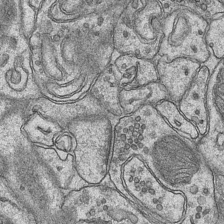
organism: Mouse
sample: CA1 Hippocampus